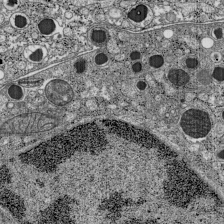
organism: C57BL Mouse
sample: Pancreatic islet